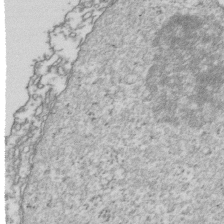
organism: Human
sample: Activated Jurkat CD4+ T cells